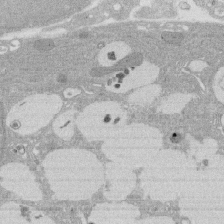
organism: Rat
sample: Salivary granule